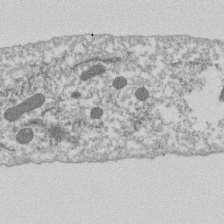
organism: Dictyostelium discoideum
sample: Dictyostelium multivesicular bodies